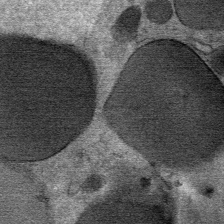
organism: Mouse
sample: Mouse Salivary gland